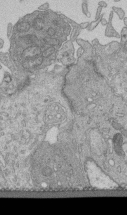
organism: Human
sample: Retinal organoid Rod and Cone cells